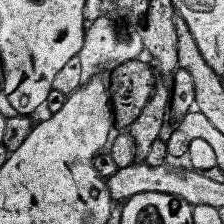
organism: Human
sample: Temporal Lobe